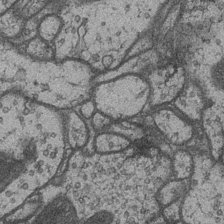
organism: Drosophila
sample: Optic medulla